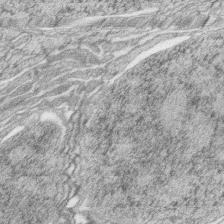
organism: Zebrafish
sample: synaptic ribbons in rod cells and cone cells